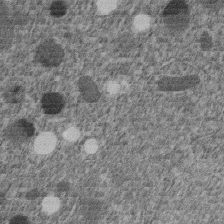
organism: C. elegans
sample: C. elegans embryo early stage